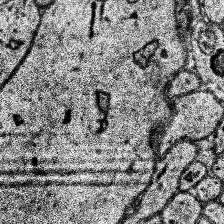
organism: Human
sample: Temporal Lobe